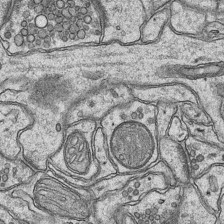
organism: Mouse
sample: CA1 Hippocampus